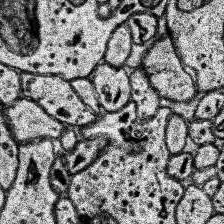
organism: Human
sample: Temporal Lobe